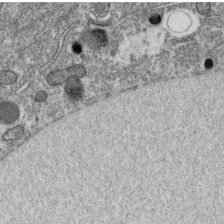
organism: C. elegans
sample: C. elegans oocyte; sperm cells